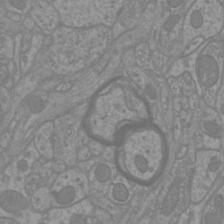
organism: Mouse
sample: Cortical neurons